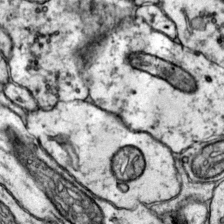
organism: Mouse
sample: Primary visual cortex